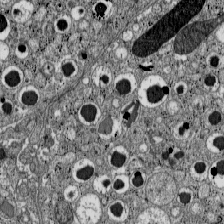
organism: C57BL Mouse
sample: Pancreatic islet